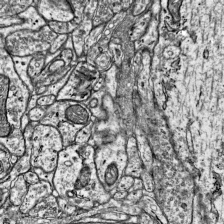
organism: Mouse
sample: Visual Cortex